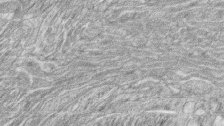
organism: Zebrafish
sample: synaptic ribbons in rod cells and cone cells